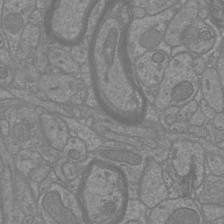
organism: Mouse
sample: Cortical neurons